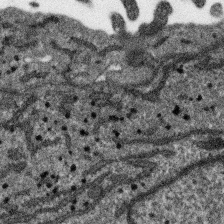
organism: Human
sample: Lung epithelial cells infected with SARS-CoV-2